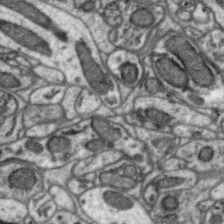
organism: Zebra finch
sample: Brain